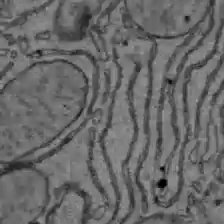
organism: C57BL Mouse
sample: Liver